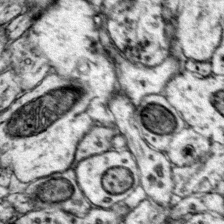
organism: Mouse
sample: Primary visual cortex